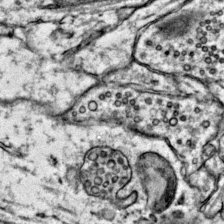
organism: Mouse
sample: Primary visual cortex